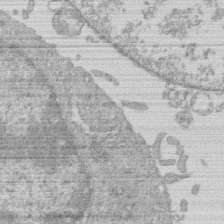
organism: Human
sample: Macrophage cells